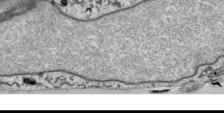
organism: Human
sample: Mitochondria in HCT116 cells